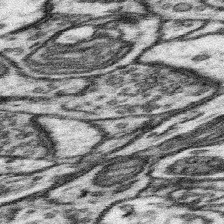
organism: Mouse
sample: Somatosensory cortex neuropil